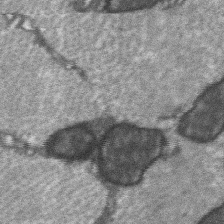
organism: C57BL Mouse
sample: Soleus